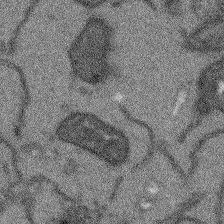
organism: Arabidopsis thaliana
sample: Root tip